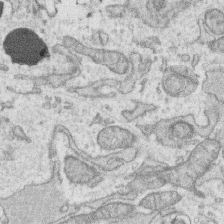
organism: Human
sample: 1205lu cells